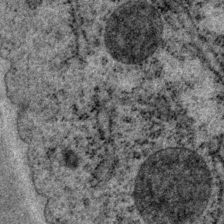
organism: P. pacificus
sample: Pharynx